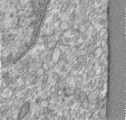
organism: Human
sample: Centriole in RPE cells